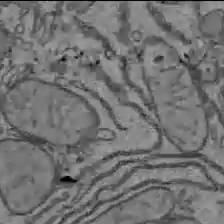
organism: C57BL Mouse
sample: Liver